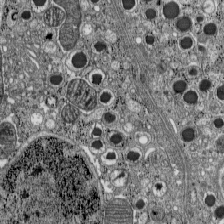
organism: C57BL Mouse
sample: Pancreatic islet